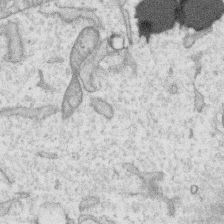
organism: Human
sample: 1205lu cells